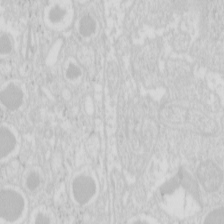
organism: Mouse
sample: Pancreas